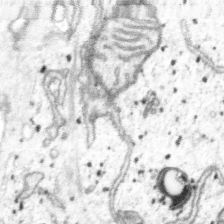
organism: Human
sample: HeLa cells